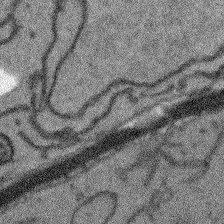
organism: Arabidopsis thaliana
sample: Root tip